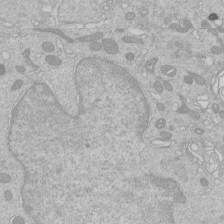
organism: Human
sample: Macrophage cells